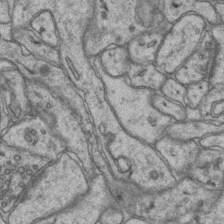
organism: Mouse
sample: CA1 Hippocampus